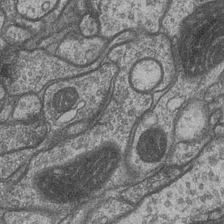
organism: Drosophila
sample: Optic medulla